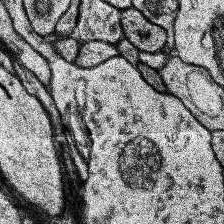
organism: Human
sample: Temporal Lobe